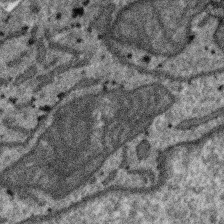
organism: Human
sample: Lung epithelial cells infected with SARS-CoV-2